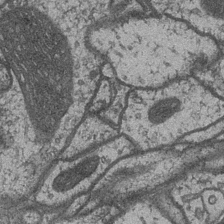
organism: Drosophila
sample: Optic medulla